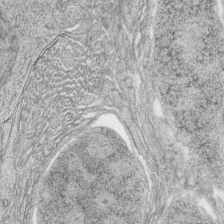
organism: Zebrafish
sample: synaptic ribbons in rod cells and cone cells